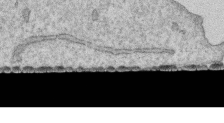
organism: Human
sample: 1205lu cells